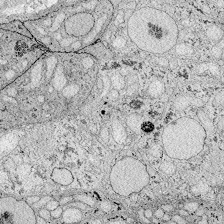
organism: Zebrafish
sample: Whole-Brain